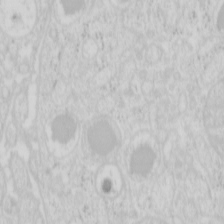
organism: Mouse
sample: Pancreas